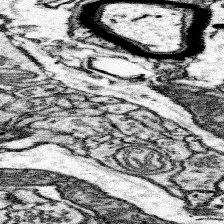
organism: Mouse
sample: Somatosensory cortex neuropil